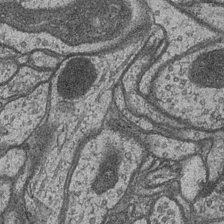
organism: Drosophila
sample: Optic medulla